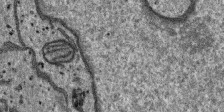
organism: Human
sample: Lung epithelial cells, uninfected (mock) control